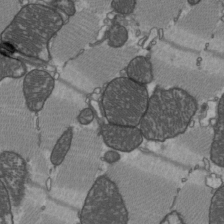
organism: C57BL Mouse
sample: Heart